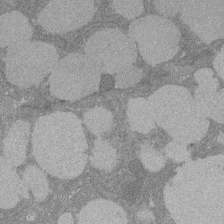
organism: Rat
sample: Salivary granule